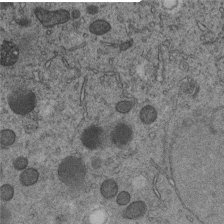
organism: C. elegans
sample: C. elegans embryo early stage